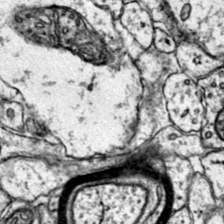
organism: Mouse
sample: Primary visual cortex